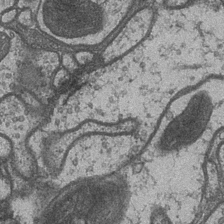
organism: Drosophila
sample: Optic medulla